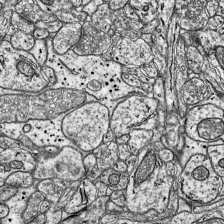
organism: Mouse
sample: Visual Cortex